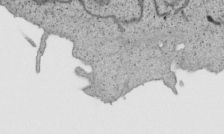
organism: Human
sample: Mitochondria in HCT116 cells